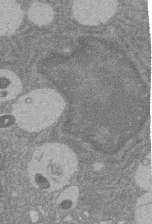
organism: Rat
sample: Salivary granule